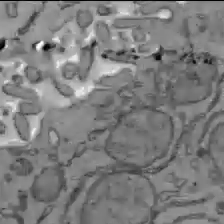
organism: C57BL Mouse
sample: Liver